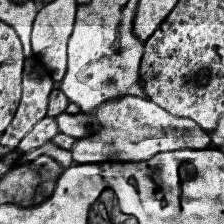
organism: Human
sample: Temporal Lobe